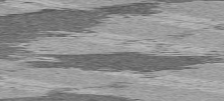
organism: C57BL Mouse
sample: Heart